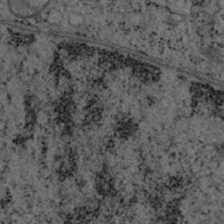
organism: Human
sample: HeLa cells